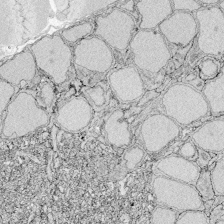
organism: Zebrafish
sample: Whole-Brain